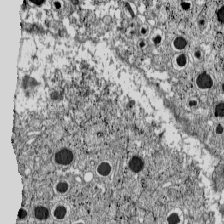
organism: C57BL Mouse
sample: Pancreatic islet